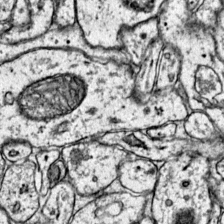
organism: Mouse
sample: Primary visual cortex